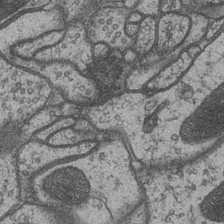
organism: Drosophila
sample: Optic medulla